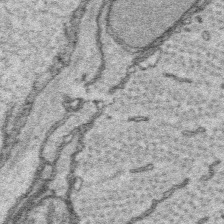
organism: Platynereis dumerilii